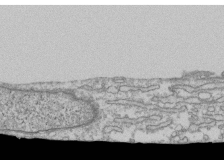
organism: Human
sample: Fibroblast cells